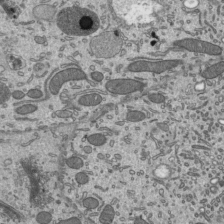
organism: Mouse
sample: Mouse epididymis efferent ductule cilia